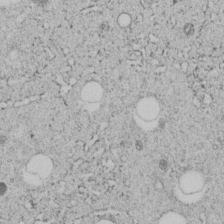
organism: C. elegans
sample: C. elegans embryo early stage